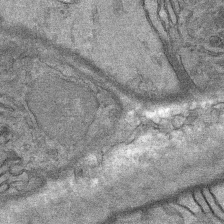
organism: Mouse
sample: Mouse Salivary gland